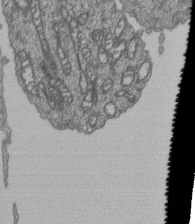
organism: Human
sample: Retinal organoid Rod and Cone cells